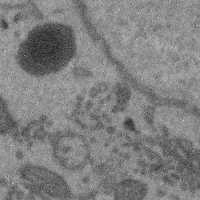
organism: Mouse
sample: Cerebral cortex